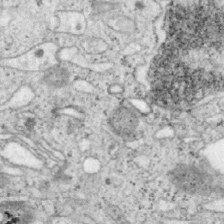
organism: Mouse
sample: OT-I killer T cells with ID8 ovarian cancer cells